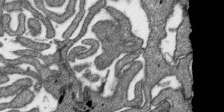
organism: Human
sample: Lung epithelial cells, uninfected (mock) control